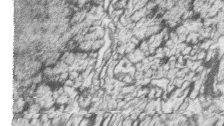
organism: Zebrafish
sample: synaptic ribbons in rod cells and cone cells